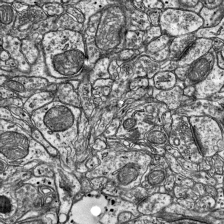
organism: Mouse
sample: Visual Cortex